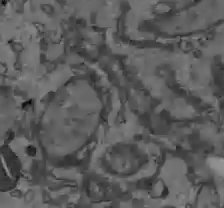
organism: C57BL Mouse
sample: Liver